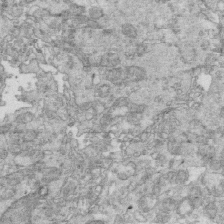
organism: Mouse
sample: Multiciliated cells